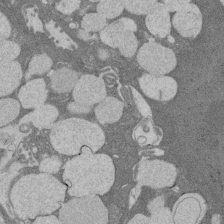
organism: Rat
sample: Salivary granule